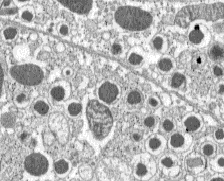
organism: C57BL Mouse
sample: Pancreatic islet